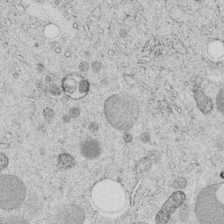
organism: C. elegans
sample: C. elegans embryo early stage